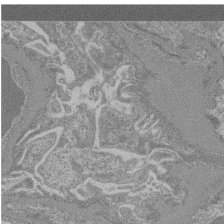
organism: Mouse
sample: Glomerulus